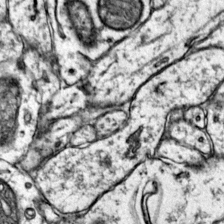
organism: Mouse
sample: Primary visual cortex